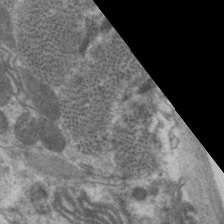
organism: C. elegans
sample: Pharynx